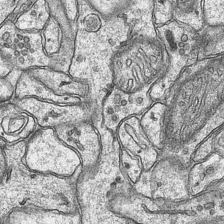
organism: Mouse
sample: CA1 Hippocampus